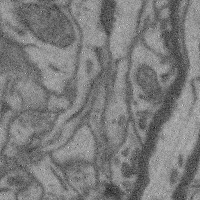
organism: Mouse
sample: Cerebral cortex